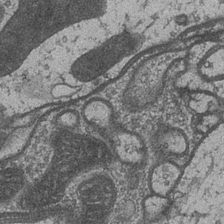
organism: Drosophila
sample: Optic medulla